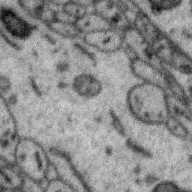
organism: Zebra finch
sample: Brain